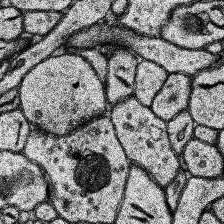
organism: Human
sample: Temporal Lobe